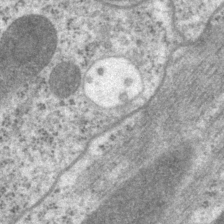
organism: P. pacificus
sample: Pharynx